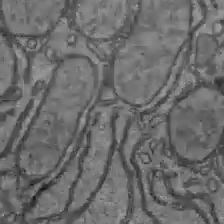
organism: C57BL Mouse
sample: Liver